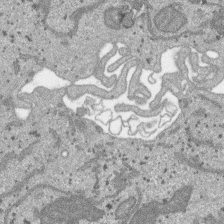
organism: Human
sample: Lung epithelial cells infected with SARS-CoV-2